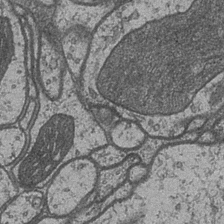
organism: Drosophila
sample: Optic medulla